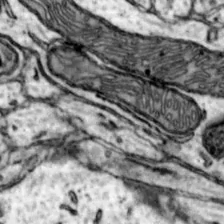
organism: Mouse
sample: Nucleus accumbens